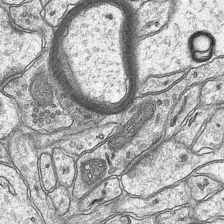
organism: Mouse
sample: CA1 Hippocampus